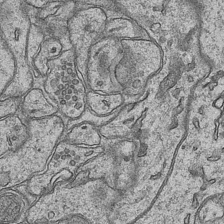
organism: Mouse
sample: CA1 Hippocampus